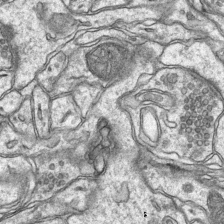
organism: Mouse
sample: CA1 Hippocampus